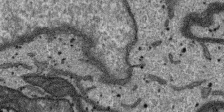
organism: Human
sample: Lung epithelial cells, uninfected (mock) control